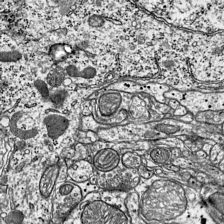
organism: Mouse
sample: Visual Cortex